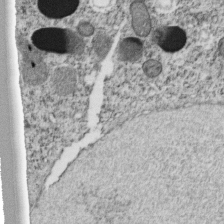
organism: C. elegans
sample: C. elegans embryo early stage